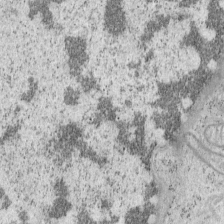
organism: Mouse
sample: OT-I killer T cells with ID8 ovarian cancer cells